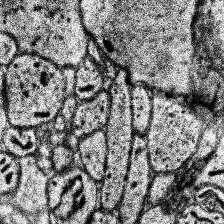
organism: Human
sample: Temporal Lobe